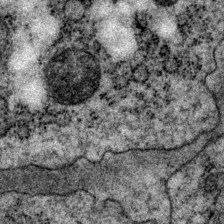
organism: P. pacificus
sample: Pharynx